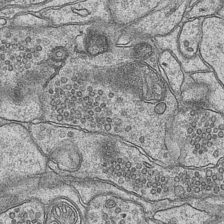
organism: Mouse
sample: CA1 Hippocampus